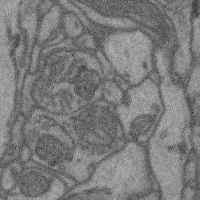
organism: Mouse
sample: Cerebral cortex